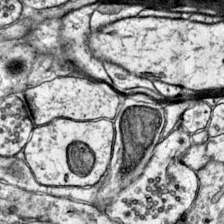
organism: Mouse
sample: Primary visual cortex